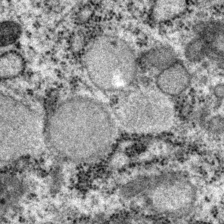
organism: P. pacificus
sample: Pharynx